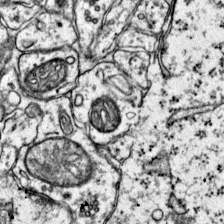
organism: Mouse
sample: Primary visual cortex